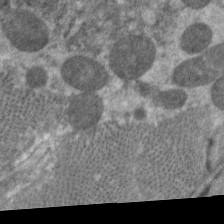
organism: C. elegans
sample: Pharynx